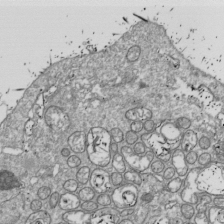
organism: Drosophila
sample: Cell division; meiosis; drosophila spermatocytes